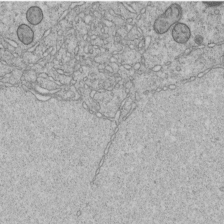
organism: C. elegans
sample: C. elegans embryo early stage